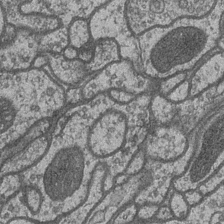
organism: Drosophila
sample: Optic medulla